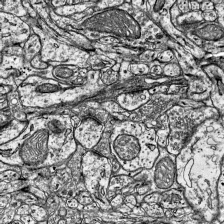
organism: Mouse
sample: Visual Cortex